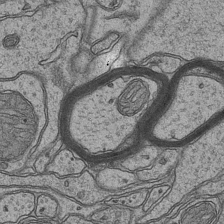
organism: Mouse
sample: CA1 Hippocampus